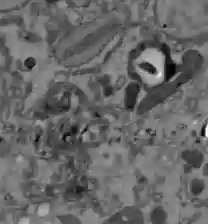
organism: C57BL Mouse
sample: Liver